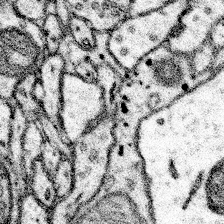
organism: Mouse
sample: Somatosensory cortex neuropil